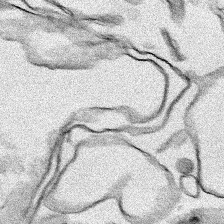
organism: Human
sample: Mitochondria in HCT116 cells